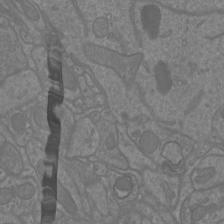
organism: Mouse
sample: Cortical neurons